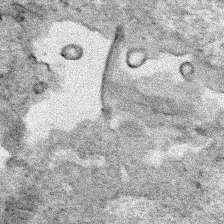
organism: Human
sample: Mitochondria in HCT116 cells